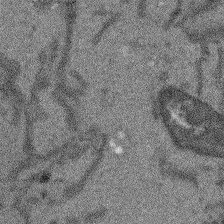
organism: Arabidopsis thaliana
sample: Root tip